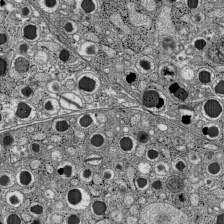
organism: C57BL Mouse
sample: Pancreatic islet